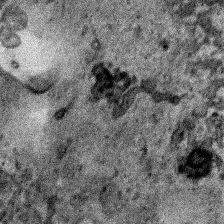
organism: Human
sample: Mitochondria in HCT116 cells